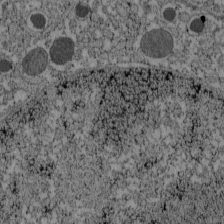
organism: C57BL Mouse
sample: Pancreatic islet